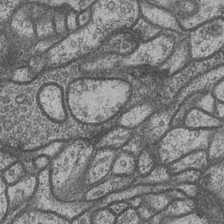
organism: Drosophila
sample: Optic medulla